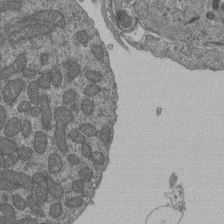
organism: Human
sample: Retinal organoid Rod and Cone cells